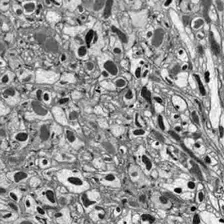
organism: Drosophila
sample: Optic lobe